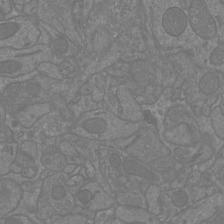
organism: Mouse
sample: Cortical neurons